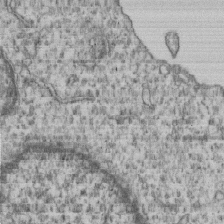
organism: Human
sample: MDA-MB-231 cells